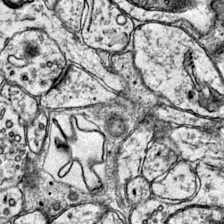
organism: Mouse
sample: Primary visual cortex